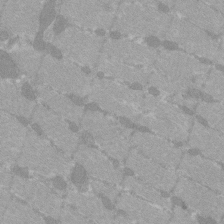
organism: C57BL Mouse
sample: Tibialis anterior muscle cell